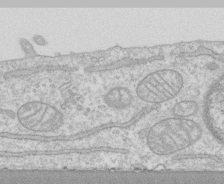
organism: Human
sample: CRL-1474